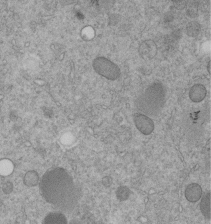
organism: C. elegans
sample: C. elegans embryo early stage